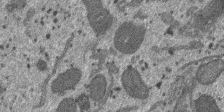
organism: Human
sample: Lung epithelial cells infected with SARS-CoV-2